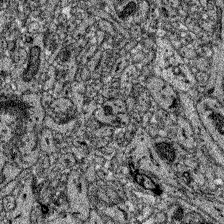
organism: Zebrafish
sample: Larval olfactory bulb